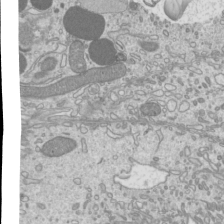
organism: Mouse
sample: Cilia; mouse epididymis